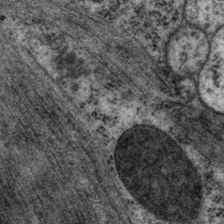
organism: P. pacificus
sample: Pharynx